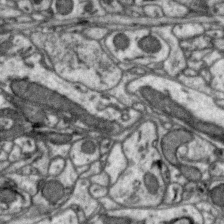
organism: Zebra finch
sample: Brain